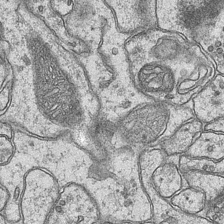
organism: Mouse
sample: CA1 Hippocampus